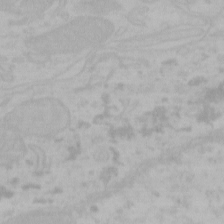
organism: Mouse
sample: Choroid plexus